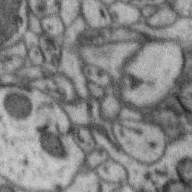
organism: Zebra finch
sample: Brain